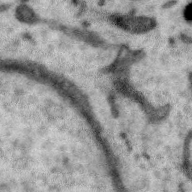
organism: Zebra finch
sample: Brain